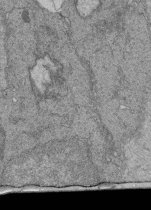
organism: Human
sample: Retinal organoid Rod and Cone cells